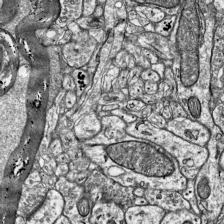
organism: Mouse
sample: Visual Cortex